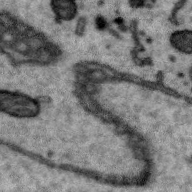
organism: Zebra finch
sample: Brain